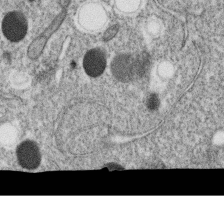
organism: C. elegans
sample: C. elegans oocyte; sperm cells